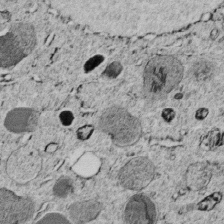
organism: C. elegans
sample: C. elegans embryo early stage